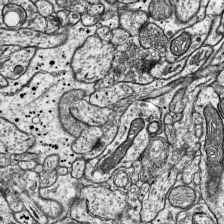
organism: Mouse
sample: Visual Cortex